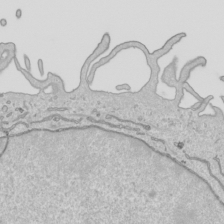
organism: Human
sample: Mitochondria in HCT116 cells